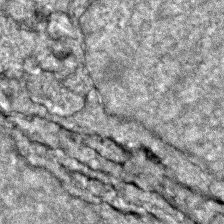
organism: Zebrafish